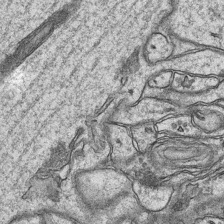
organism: Mouse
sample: CA1 Hippocampus